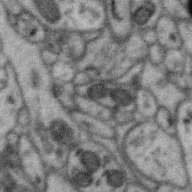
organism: Zebra finch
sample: Brain